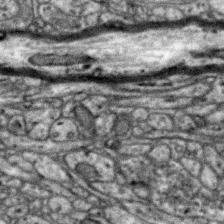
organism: Zebra finch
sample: Brain